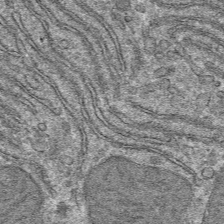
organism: Mouse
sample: Mouse hepatocytes